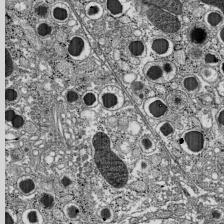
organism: C57BL Mouse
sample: Pancreatic islet